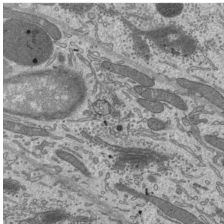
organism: Mouse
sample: Mouse epididymis efferent ductule cilia